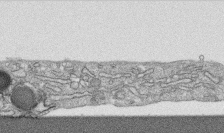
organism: Human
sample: CRL-1474